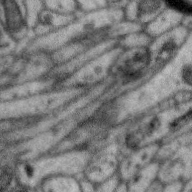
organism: Zebra finch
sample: Brain